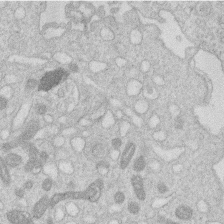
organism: Human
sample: Macrophage cells